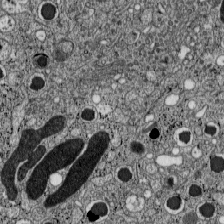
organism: C57BL Mouse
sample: Pancreatic islet